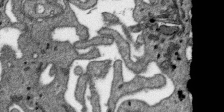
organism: Human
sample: Lung epithelial cells, uninfected (mock) control